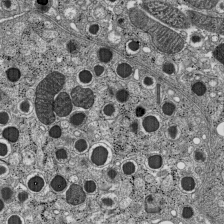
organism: C57BL Mouse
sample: Pancreatic islet